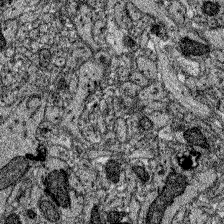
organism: Zebrafish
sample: Larval olfactory bulb